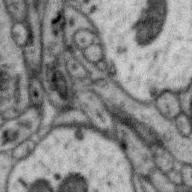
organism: Zebra finch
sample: Brain